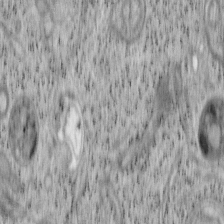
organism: Human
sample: HeLa cells